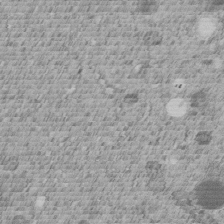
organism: C. elegans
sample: C. elegans embryo early stage